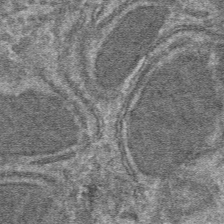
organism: Mouse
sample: Mouse hepatocytes